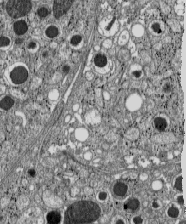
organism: C57BL Mouse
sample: Pancreatic islet